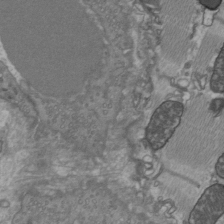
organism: C57BL Mouse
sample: Heart